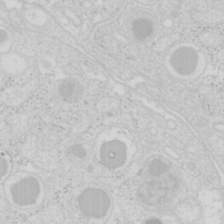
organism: Mouse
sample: Pancreas